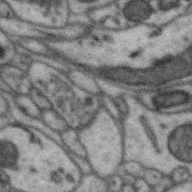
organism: Zebra finch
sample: Brain